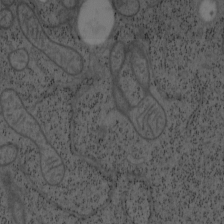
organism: Mouse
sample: OT-I killer T cells with ID8 ovarian cancer cells